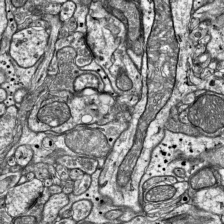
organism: Mouse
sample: Visual Cortex